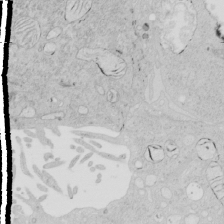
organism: Human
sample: Mitochondria in HCT116 cells